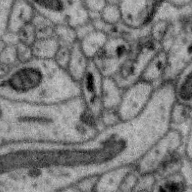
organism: Zebra finch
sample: Brain